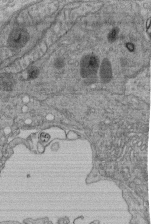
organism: Human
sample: Retinal organoid Rod and Cone cells